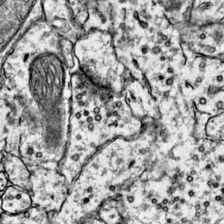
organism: Mouse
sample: Primary visual cortex